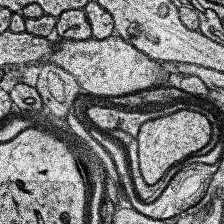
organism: Human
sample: Temporal Lobe